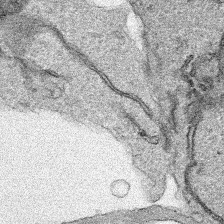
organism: Human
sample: Mitochondria in HCT116 cells